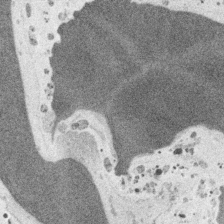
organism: Embia sp.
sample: Silk gland